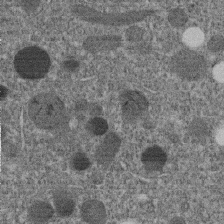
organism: C. elegans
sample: C. elegans embryo early stage